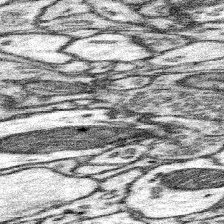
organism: Mouse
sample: Somatosensory cortex neuropil